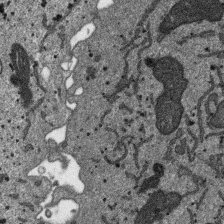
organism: Human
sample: Lung epithelial cells infected with SARS-CoV-2